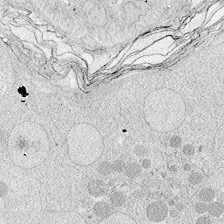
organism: Zebrafish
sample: Whole-Brain